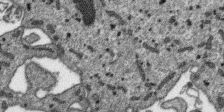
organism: Human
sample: Lung epithelial cells infected with SARS-CoV-2